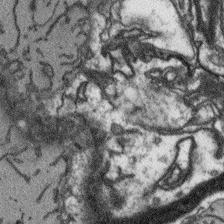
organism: Arabidopsis thaliana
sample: Root tip